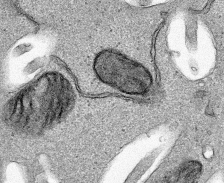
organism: Human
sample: Mitochondria in HCT116 cells